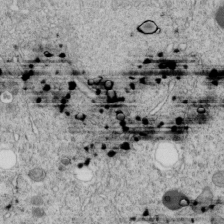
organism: C. elegans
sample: C. elegans embryo early stage